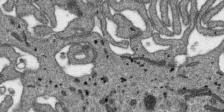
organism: Human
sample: Lung epithelial cells, uninfected (mock) control